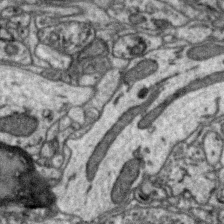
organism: Zebra finch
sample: Brain